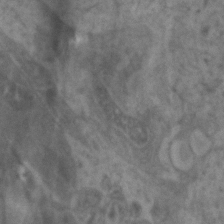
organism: Zebrafish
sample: Zebrafish embryo